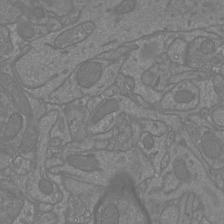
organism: Mouse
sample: Cortical neurons